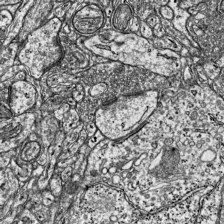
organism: Mouse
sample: Visual Cortex